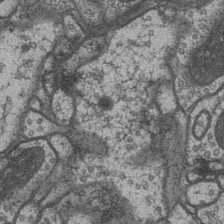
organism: Drosophila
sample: Optic medulla